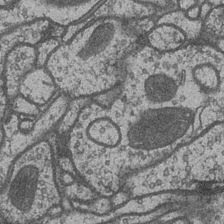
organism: Drosophila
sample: Optic medulla